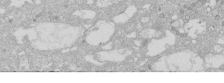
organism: Human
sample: Caco-2 cells